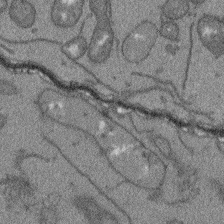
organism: Arabidopsis thaliana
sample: Root tip